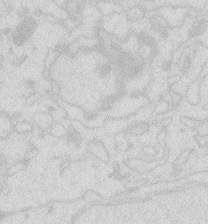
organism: Zebrafish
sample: Macrophage